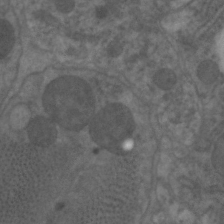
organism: C. elegans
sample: Pharynx